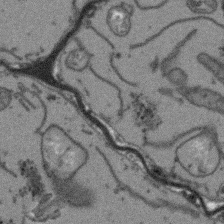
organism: Arabidopsis thaliana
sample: Root tip